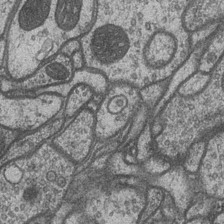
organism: Drosophila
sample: Optic medulla